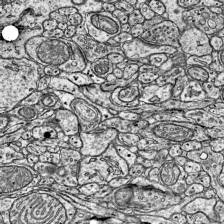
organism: Mouse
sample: Visual Cortex